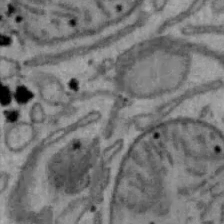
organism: Mouse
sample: Liver